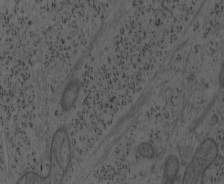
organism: Mouse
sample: OT-I killer T cells with ID8 ovarian cancer cells